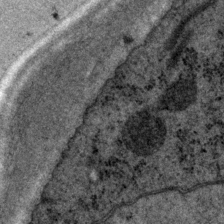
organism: P. pacificus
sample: Pharynx